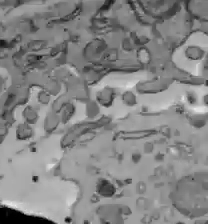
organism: C57BL Mouse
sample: Liver